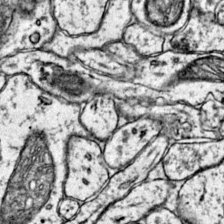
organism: Mouse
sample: Primary visual cortex